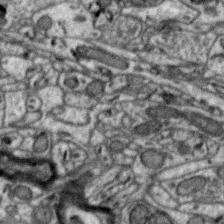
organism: Zebra finch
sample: Brain